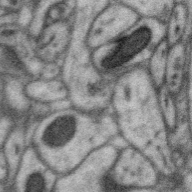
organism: Zebra finch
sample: Brain